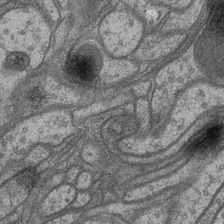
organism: Drosophila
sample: Optic medulla